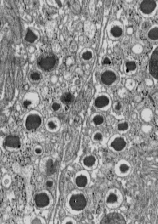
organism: C57BL Mouse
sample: Pancreatic islet